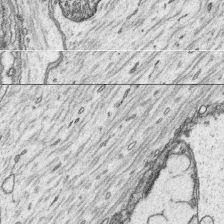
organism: Platynereis dumerilii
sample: Parapodia